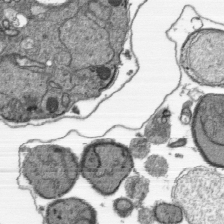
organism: Plasmodium falciparum